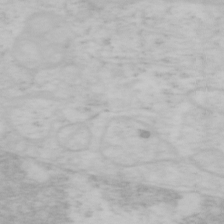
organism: Mouse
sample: OT-I killer T cells with ID8 ovarian cancer cells